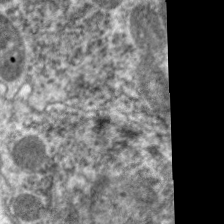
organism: C. elegans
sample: Pharynx